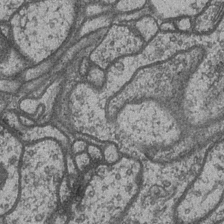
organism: Drosophila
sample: Optic medulla